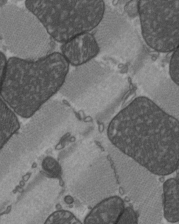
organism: C57BL Mouse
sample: Heart